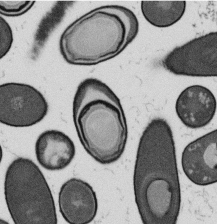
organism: B. subtilis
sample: Bacterial spore